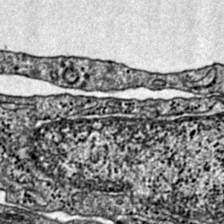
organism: Mouse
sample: Primary visual cortex